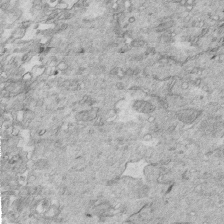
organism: Mouse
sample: Multiciliated cells